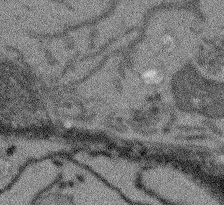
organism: Arabidopsis thaliana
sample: Root tip